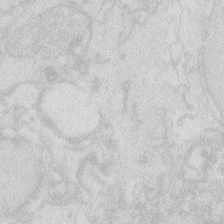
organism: Zebrafish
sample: Macrophage